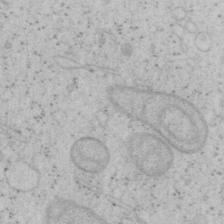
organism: Human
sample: HeLa cells